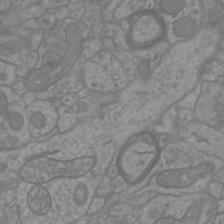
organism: Mouse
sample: Cortical neurons